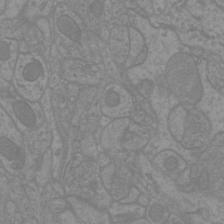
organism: Mouse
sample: Cortical neurons